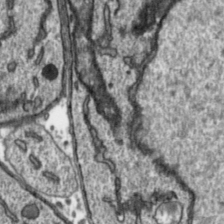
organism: Toxoplasma gondii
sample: Parasites in a vacuole inside a host cell